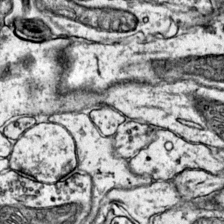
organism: Mouse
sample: Primary visual cortex